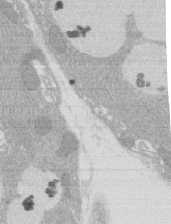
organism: Rat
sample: Salivary granule